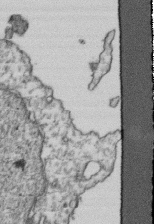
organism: Human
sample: Activated Jurkat CD4+ T cells